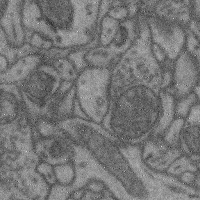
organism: Mouse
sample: Cerebral cortex